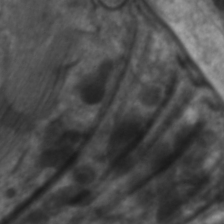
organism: C. elegans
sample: Pharynx